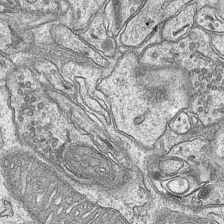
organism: Mouse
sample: CA1 Hippocampus